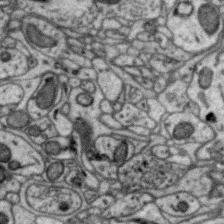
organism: Zebra finch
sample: Brain